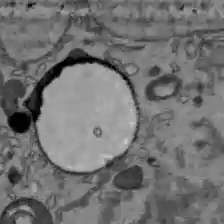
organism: C57BL Mouse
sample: Liver